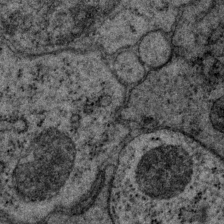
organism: P. pacificus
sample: Pharynx